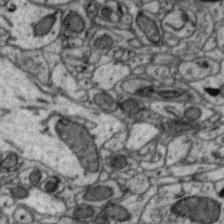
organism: Zebra finch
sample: Brain